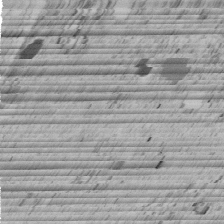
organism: C. elegans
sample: C. elegans embryo early stage